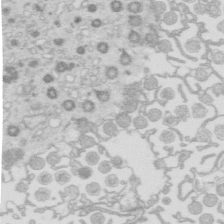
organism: Mouse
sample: Multiciliated cells